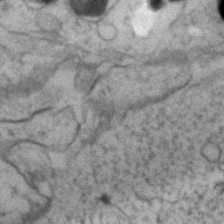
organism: Zebrafish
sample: Zebrafish embryo